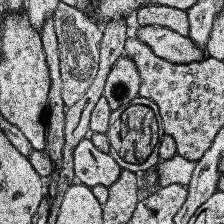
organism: Human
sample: Temporal Lobe